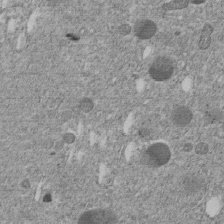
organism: C. elegans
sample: C. elegans embryo early stage